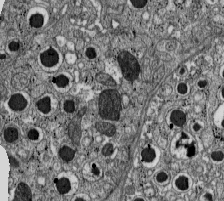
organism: C57BL Mouse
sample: Pancreatic islet